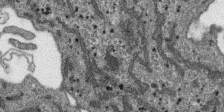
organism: Human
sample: Lung epithelial cells infected with SARS-CoV-2